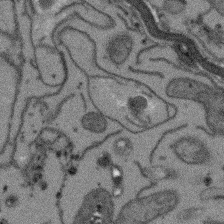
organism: Arabidopsis thaliana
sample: Root tip